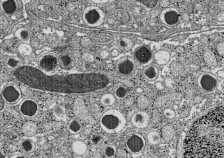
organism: C57BL Mouse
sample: Pancreatic islet